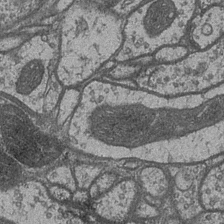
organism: Drosophila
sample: Optic medulla